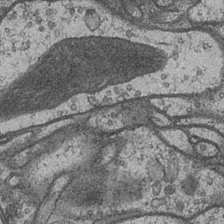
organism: Drosophila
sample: Optic medulla